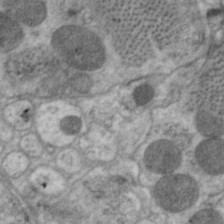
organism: C. elegans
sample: Pharynx